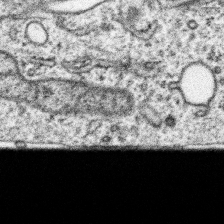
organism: Human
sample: HeLa cells